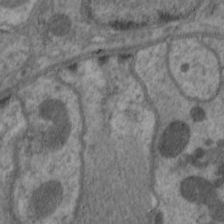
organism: C. elegans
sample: Pharynx